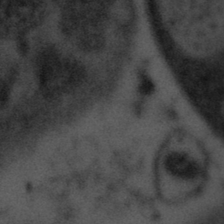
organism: Tuwongella immobilis